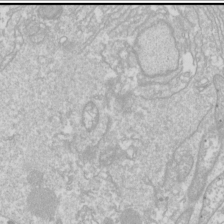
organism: Drosophila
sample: Cell division; meiosis; drosophila spermatocytes